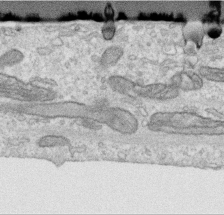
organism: Human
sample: Centriole in RPE cells